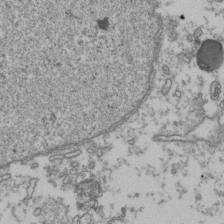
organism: Human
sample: Activated Jurkat CD4+ T cells